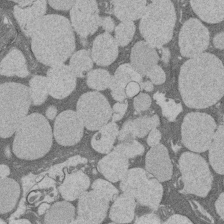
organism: Rat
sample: Salivary granule